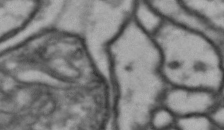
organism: Drosophila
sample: Brain